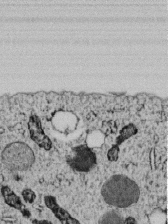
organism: C. elegans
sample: C. elegans embryo early stage